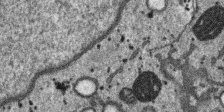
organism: Human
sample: Lung epithelial cells infected with SARS-CoV-2